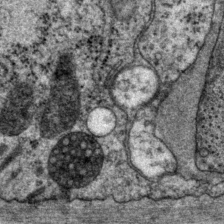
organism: P. pacificus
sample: Pharynx